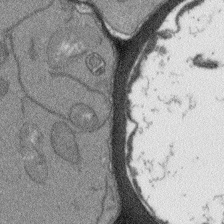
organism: Arabidopsis thaliana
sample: Root tip